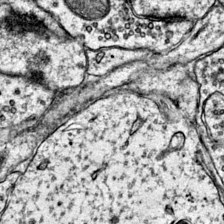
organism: Mouse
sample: Primary visual cortex